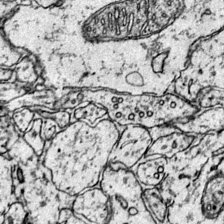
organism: Mouse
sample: Primary visual cortex